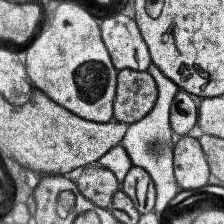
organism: Human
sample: Temporal Lobe